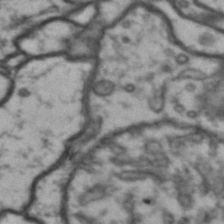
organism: Drosophila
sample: Brain